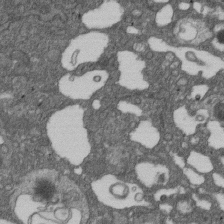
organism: Drosophila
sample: Nephrocyte